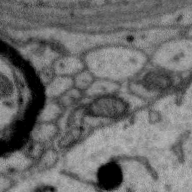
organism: Zebra finch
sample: Brain